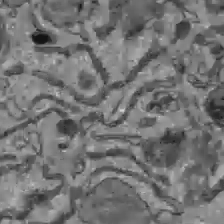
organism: C57BL Mouse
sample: Liver